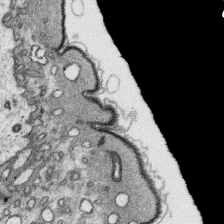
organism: Platynereis dumerilii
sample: Parapodia